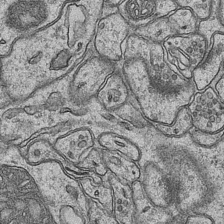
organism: Mouse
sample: CA1 Hippocampus